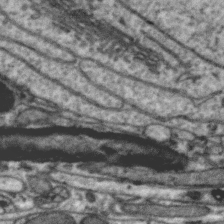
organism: Zebra finch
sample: Brain